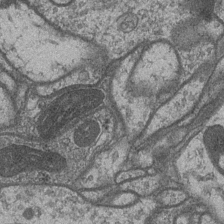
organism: Drosophila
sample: Optic medulla